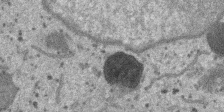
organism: Human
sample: Lung epithelial cells infected with SARS-CoV-2